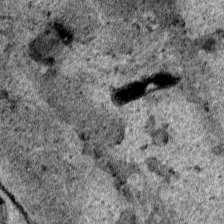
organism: Human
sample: Mitochondria in HCT116 cells